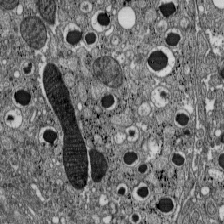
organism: C57BL Mouse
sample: Pancreatic islet